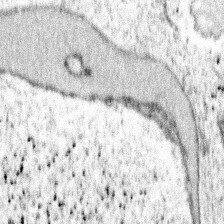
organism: Human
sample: HeLa cells